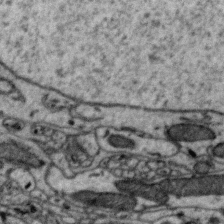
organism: Zebra finch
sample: Brain